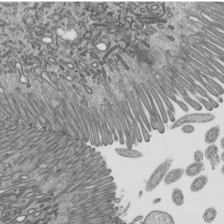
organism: Mouse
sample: Mouse epididymis efferent ductule cilia